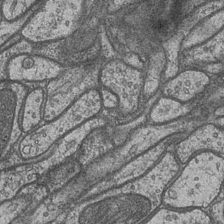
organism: Drosophila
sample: Optic medulla